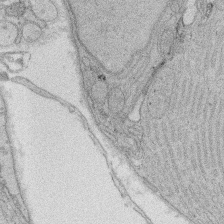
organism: Rat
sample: Salivary granule